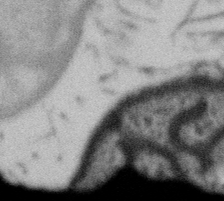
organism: Gemmata obscuriglobus